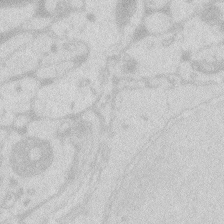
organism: Zebrafish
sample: Macrophage